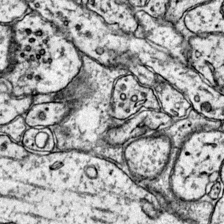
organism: Mouse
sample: Primary visual cortex